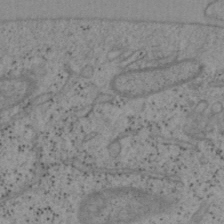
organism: Human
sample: HeLa cells